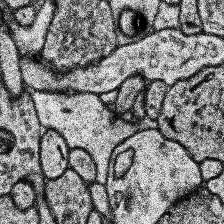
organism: Human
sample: Temporal Lobe